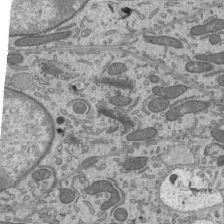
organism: Mouse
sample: Mouse epididymis efferent ductule cilia